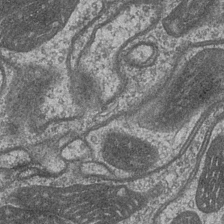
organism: Drosophila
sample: Optic medulla